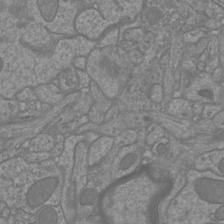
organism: Mouse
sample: Cortical neurons